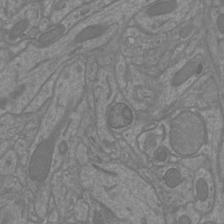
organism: Mouse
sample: Cortical neurons